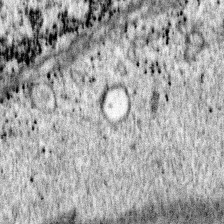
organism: Human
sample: HeLa cells